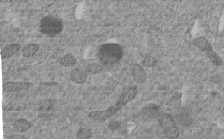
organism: C. elegans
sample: C. elegans embryo early stage